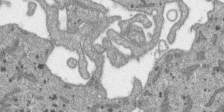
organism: Human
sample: Lung epithelial cells infected with SARS-CoV-2